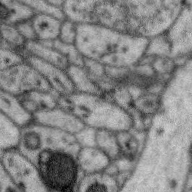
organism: Zebra finch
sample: Brain